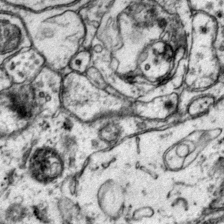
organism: Mouse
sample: Primary visual cortex